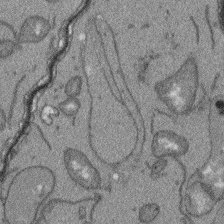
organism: Arabidopsis thaliana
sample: Root tip